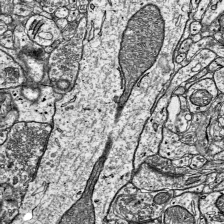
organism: Mouse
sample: Visual Cortex